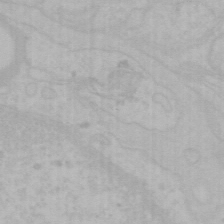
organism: Mouse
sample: Choroid plexus